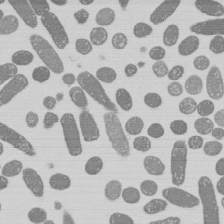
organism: E. coli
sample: Bacterial nucleoid